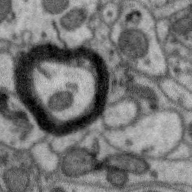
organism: Zebra finch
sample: Brain